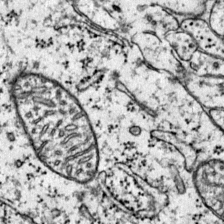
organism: Mouse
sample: Primary visual cortex